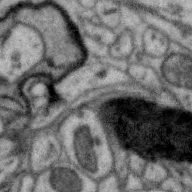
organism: Zebra finch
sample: Brain